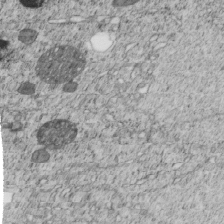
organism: C. elegans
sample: C. elegans embryo early stage